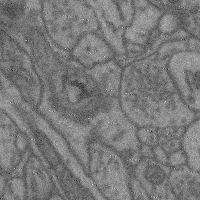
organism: Mouse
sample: Cerebral cortex